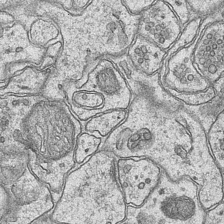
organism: Mouse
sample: CA1 Hippocampus